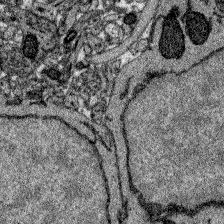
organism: Zebrafish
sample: Larval olfactory bulb